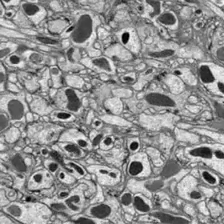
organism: Drosophila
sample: Optic lobe